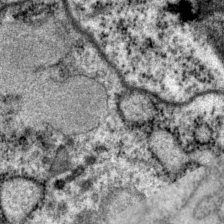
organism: P. pacificus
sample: Pharynx